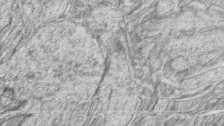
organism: Zebrafish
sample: synaptic ribbons in rod cells and cone cells